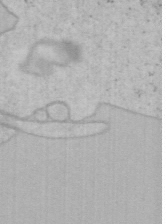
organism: Human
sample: HeLa cells